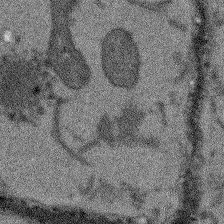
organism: Arabidopsis thaliana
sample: Root tip